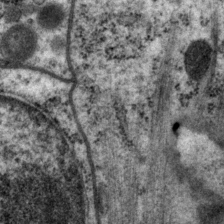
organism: P. pacificus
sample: Pharynx